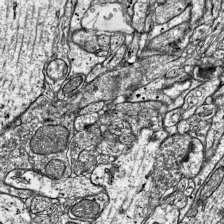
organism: Mouse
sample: Visual Cortex